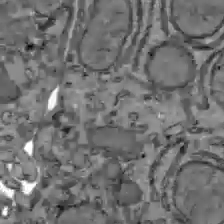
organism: C57BL Mouse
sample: Liver